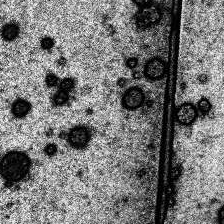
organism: Human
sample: Temporal Lobe